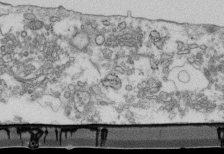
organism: Mouse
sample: Cilia; retinal pigment epithelium